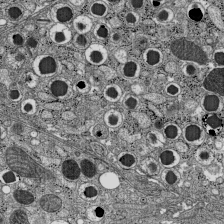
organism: C57BL Mouse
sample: Pancreatic islet